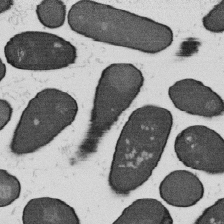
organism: B. subtilis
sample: Bacterial spore